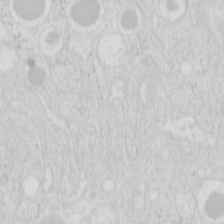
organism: Mouse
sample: Pancreas